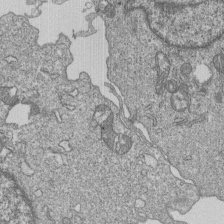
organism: Human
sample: MDA-MB-231 cells